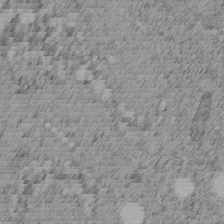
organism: C. elegans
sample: C. elegans embryo early stage